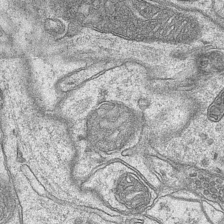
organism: Mouse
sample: CA1 Hippocampus